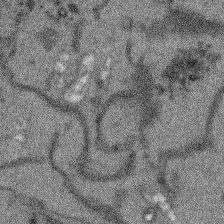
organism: Arabidopsis thaliana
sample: Root tip